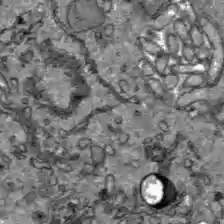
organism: C57BL Mouse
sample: Liver